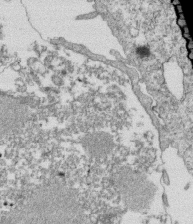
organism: Human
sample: HeLa cell HIV synapse